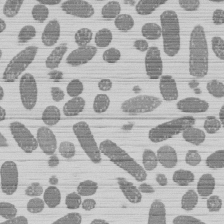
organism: E. coli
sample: Bacterial nucleoid